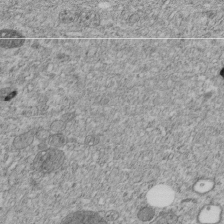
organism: C. elegans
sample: C. elegans embryo early stage